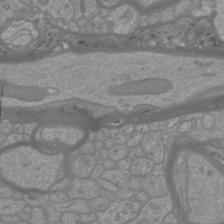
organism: Mouse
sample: Cortical neurons